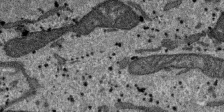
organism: Human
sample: Lung epithelial cells, uninfected (mock) control